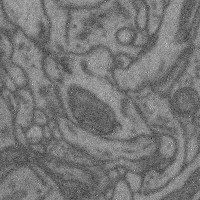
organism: Mouse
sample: Cerebral cortex